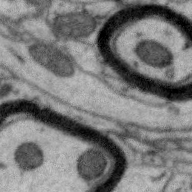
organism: Zebra finch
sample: Brain